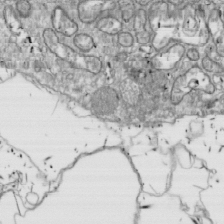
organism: Drosophila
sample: Cell division; meiosis; drosophila spermatocytes